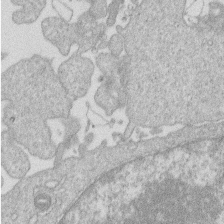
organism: Human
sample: Macrophage cells